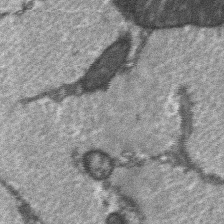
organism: C57BL Mouse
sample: Soleus